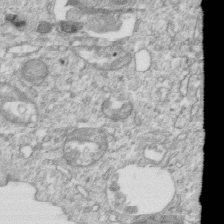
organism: Mouse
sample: Activated OT-1 CD8+ T cells